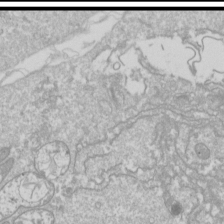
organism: Drosophila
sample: Cell division; meiosis; drosophila spermatocytes